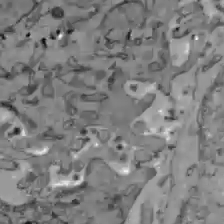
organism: C57BL Mouse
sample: Liver